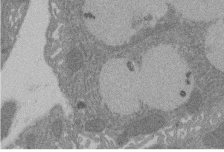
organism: Rat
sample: Salivary granule